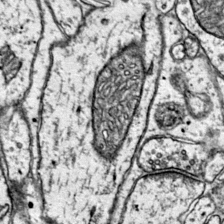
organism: Mouse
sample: Primary visual cortex